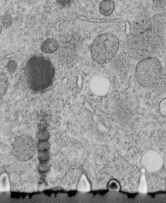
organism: C. elegans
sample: C. elegans embryo early stage